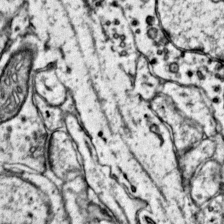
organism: Mouse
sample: Primary visual cortex